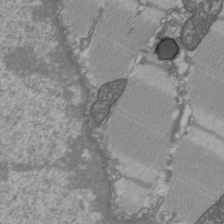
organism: C57BL Mouse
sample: Heart